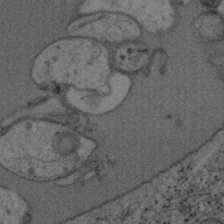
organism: Human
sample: HeLa cells